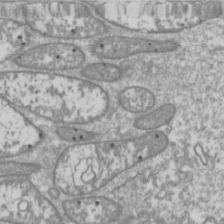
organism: Drosophila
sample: Cell division; meiosis; drosophila spermatocytes